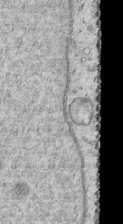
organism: Human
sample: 1205lu cells